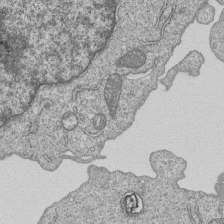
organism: Human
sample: MDA-MB-231 cells